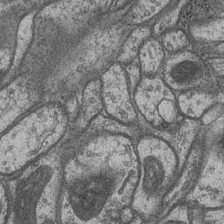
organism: Drosophila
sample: Optic medulla